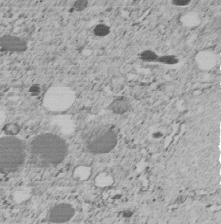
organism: C. elegans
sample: C. elegans embryo early stage